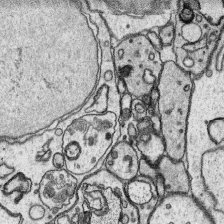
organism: Platynereis dumerilii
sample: Parapodia